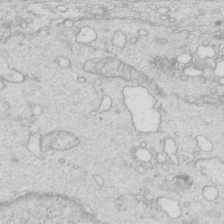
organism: Mouse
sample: Multiciliated cells